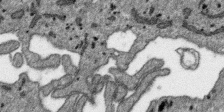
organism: Human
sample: Lung epithelial cells, uninfected (mock) control